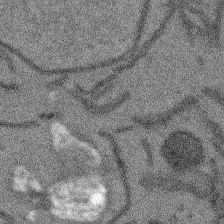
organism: Arabidopsis thaliana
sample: Root tip